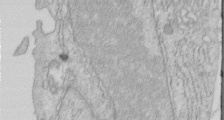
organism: Human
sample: Centriole in RPE cells